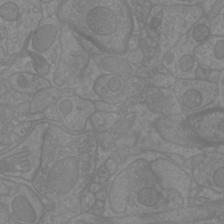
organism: Mouse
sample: Cortical neurons